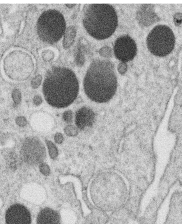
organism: C. elegans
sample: C. elegans oocyte; sperm cells